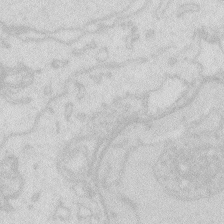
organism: Zebrafish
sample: Macrophage